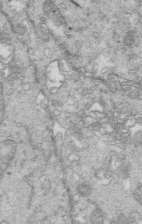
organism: Mouse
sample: Multiciliated cells